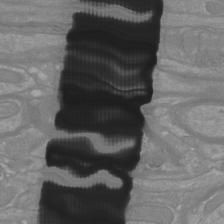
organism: Mouse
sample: Cortical neurons